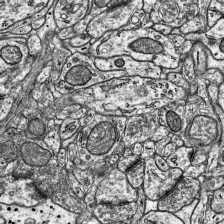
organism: Mouse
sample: Visual Cortex